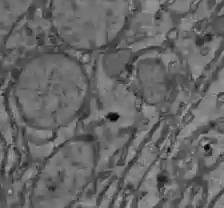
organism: C57BL Mouse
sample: Liver